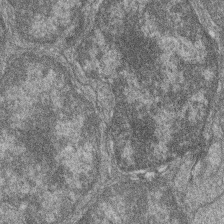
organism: Zebrafish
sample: Cilia; retinal pigment epithelium